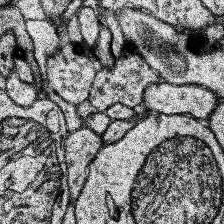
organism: Human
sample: Temporal Lobe